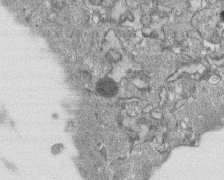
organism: Human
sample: CRL-1474